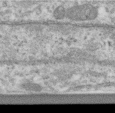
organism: Human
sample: Centriole in RPE cells